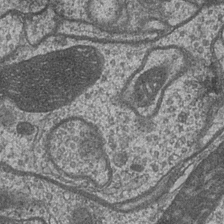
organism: Drosophila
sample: Optic medulla